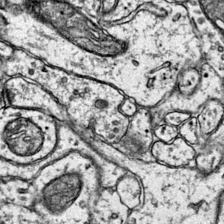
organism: Mouse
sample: Primary visual cortex